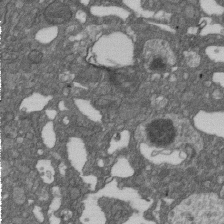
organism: Drosophila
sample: Nephrocyte